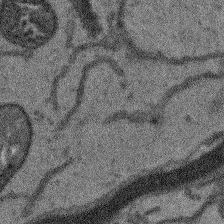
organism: Arabidopsis thaliana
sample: Root tip